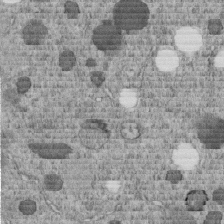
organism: C. elegans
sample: C. elegans embryo early stage